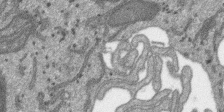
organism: Human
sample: Lung epithelial cells infected with SARS-CoV-2